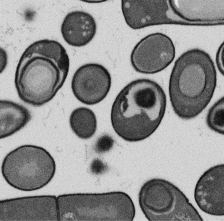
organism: B. subtilis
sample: Bacterial spore